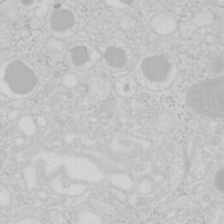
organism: Mouse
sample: Pancreas